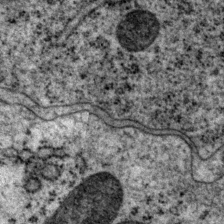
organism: P. pacificus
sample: Pharynx